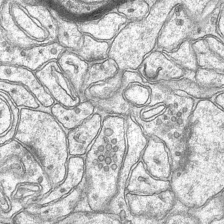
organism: Mouse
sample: CA1 Hippocampus